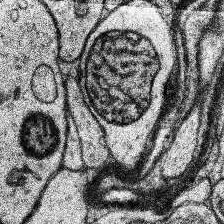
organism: Human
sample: Temporal Lobe